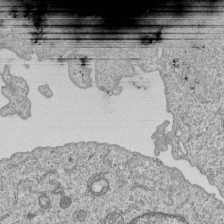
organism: Human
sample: MDA-MB-231 cells